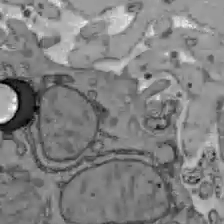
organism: C57BL Mouse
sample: Liver